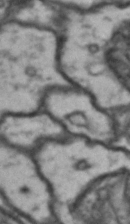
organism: Drosophila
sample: Brain